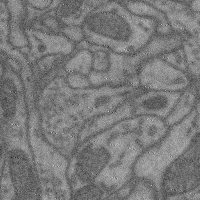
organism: Mouse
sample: Cerebral cortex